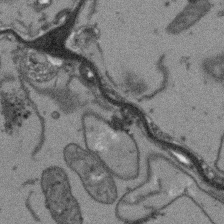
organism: Arabidopsis thaliana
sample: Root tip